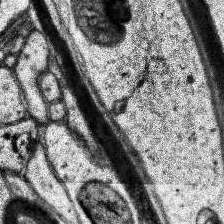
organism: Human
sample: Temporal Lobe